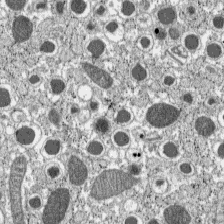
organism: C57BL Mouse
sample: Pancreatic islet